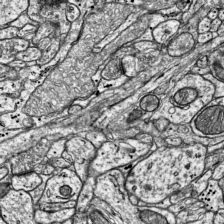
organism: Mouse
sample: Visual Cortex